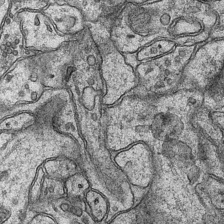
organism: Mouse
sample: CA1 Hippocampus